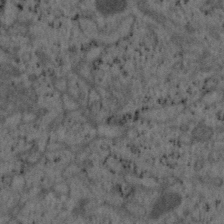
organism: Human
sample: HeLa cells